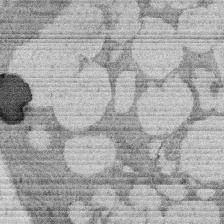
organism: Rat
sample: Salivary granule